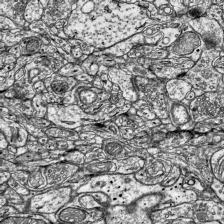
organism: Mouse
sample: Visual Cortex